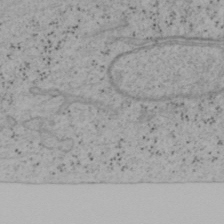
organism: Human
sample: HeLa cells